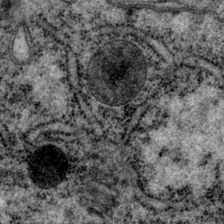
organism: P. pacificus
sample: Pharynx